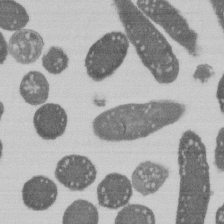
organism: E. coli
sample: Bacterial nucleoid